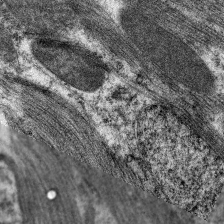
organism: C. elegans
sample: Pharynx